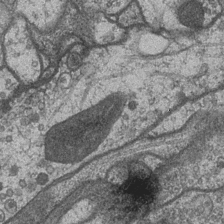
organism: Drosophila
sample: Optic medulla